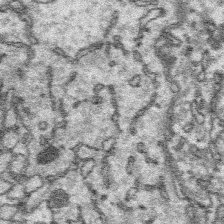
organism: Platynereis dumerilii